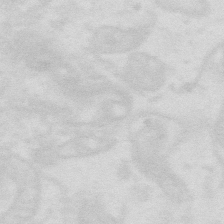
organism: Human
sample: HeLa cells